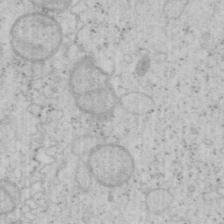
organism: Human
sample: HeLa cells